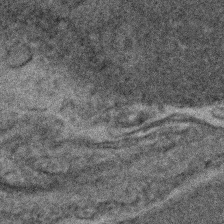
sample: Kidney